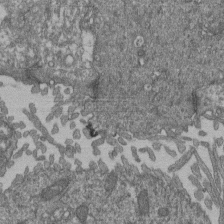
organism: Human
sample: Retinal organoid Rod and Cone cells